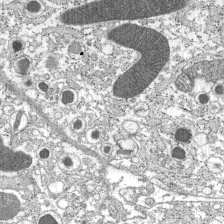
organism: C57BL Mouse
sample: Pancreatic islet